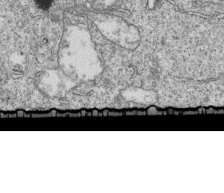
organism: Human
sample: HeLa cell HIV synapse